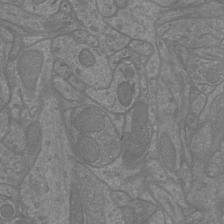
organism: Mouse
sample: Cortical neurons